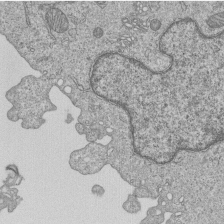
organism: Human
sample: MDA-MB-231 cells